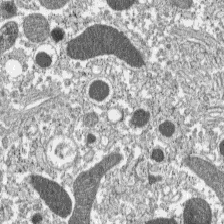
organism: C57BL Mouse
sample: Pancreatic islet